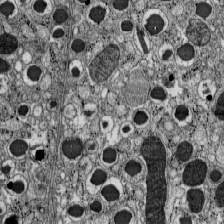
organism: C57BL Mouse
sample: Pancreatic islet